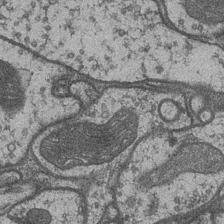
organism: Drosophila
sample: Optic medulla